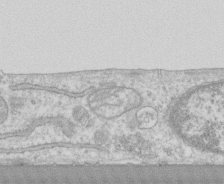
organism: Human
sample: CRL-1474